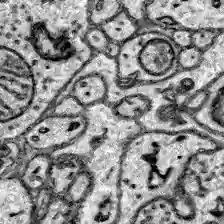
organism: Zebrafish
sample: Brain